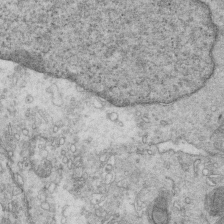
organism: Mouse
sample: Multiciliated cells